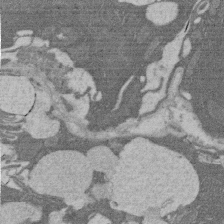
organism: Rat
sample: Salivary granule